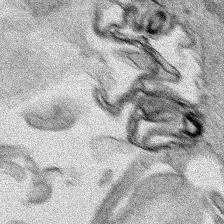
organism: Human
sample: Mitochondria in HCT116 cells